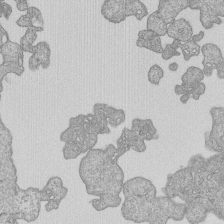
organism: Human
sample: MDA-MB-231 cells